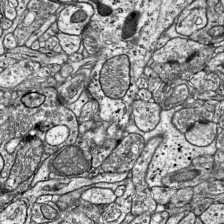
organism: Mouse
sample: Visual Cortex